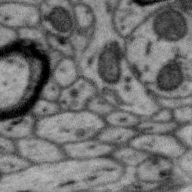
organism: Zebra finch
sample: Brain